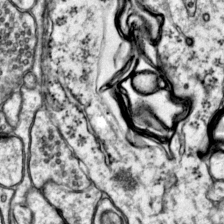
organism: Mouse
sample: Primary visual cortex